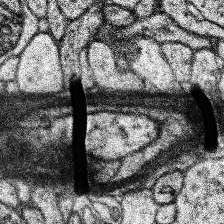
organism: Human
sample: Temporal Lobe